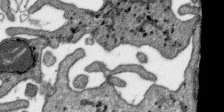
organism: Human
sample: Lung epithelial cells, uninfected (mock) control